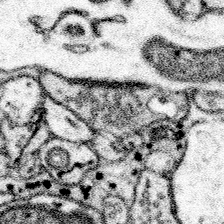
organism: Mouse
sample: Somatosensory cortex neuropil